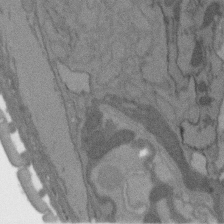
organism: C. elegans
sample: AFD neurons C. elegans